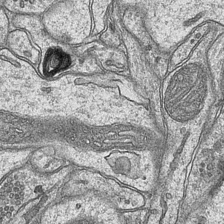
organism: Mouse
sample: CA1 Hippocampus